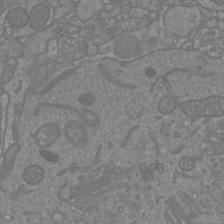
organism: Mouse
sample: Cortical neurons